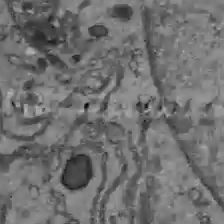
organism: C57BL Mouse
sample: Liver